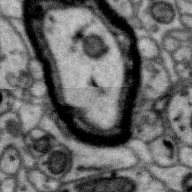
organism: Zebra finch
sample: Brain